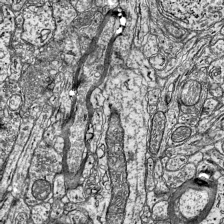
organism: Mouse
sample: Visual Cortex